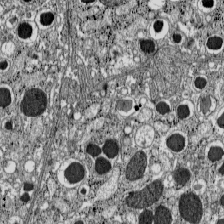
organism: C57BL Mouse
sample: Pancreatic islet